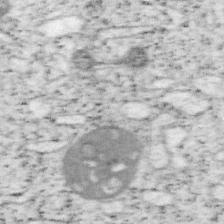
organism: Mouse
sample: OT-I killer T cells with ID8 ovarian cancer cells